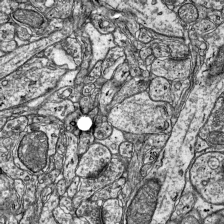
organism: Mouse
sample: Visual Cortex